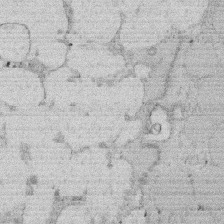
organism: Rat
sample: Salivary granule